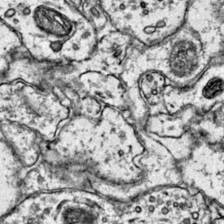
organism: Mouse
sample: Primary visual cortex